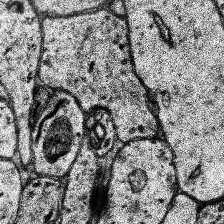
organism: Human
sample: Temporal Lobe